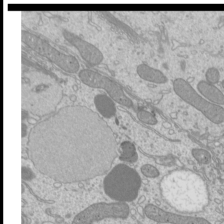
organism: Mouse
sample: Cilia; mouse epididymis